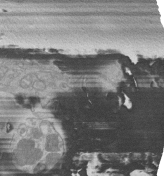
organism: Human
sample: Retinal organoid Rod and Cone cells